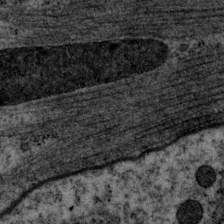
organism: P. pacificus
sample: Pharynx